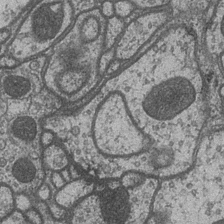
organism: Drosophila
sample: Optic medulla